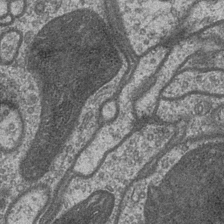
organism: Drosophila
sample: Optic medulla